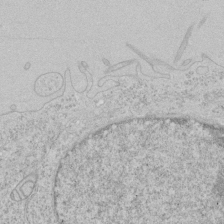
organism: Human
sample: Mitochondria in HCT116 cells